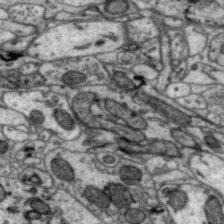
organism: Zebra finch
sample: Brain